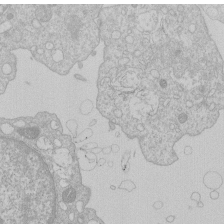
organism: Human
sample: Macrophage cells